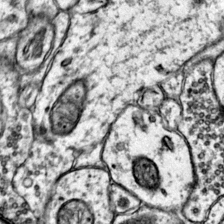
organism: Mouse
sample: Primary visual cortex